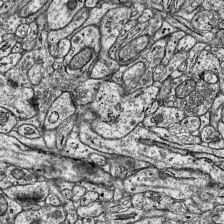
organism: Mouse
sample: Visual Cortex